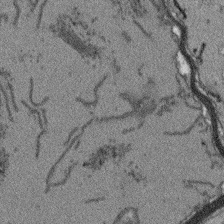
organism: Arabidopsis thaliana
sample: Root tip